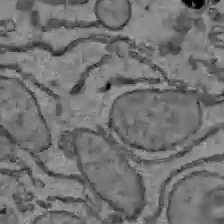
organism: C57BL Mouse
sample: Liver